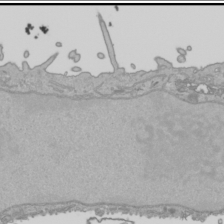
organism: Human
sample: Mitochondria in HCT116 cells